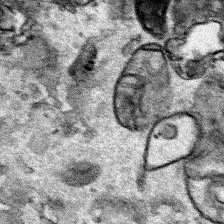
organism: Human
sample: Mitochondria in HCT116 cells